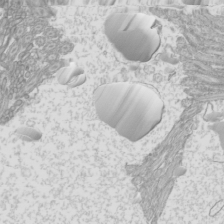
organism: Mouse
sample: Cilia; mouse epididymis